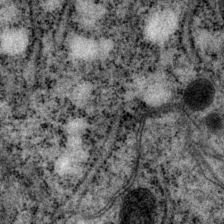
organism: P. pacificus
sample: Pharynx